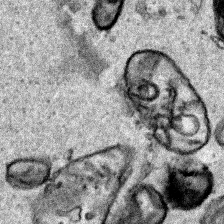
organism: Human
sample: Mitochondria in HCT116 cells